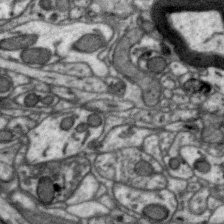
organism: Zebra finch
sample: Brain